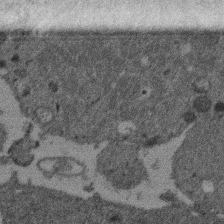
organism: Mouse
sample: Dividing mouse embryo 1 cell stage